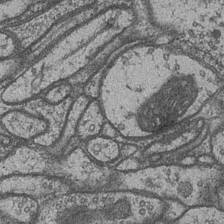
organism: Drosophila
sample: Optic medulla